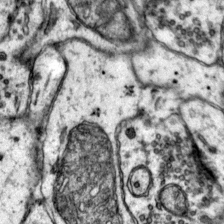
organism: Mouse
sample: Primary visual cortex